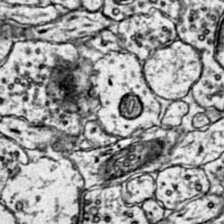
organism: Mouse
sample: Primary visual cortex